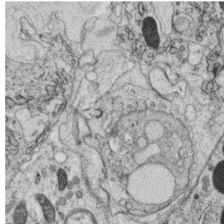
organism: C. elegans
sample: C. elegans oocyte; sperm cells